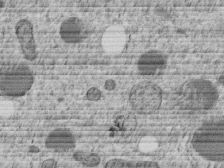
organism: C. elegans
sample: C. elegans embryo early stage